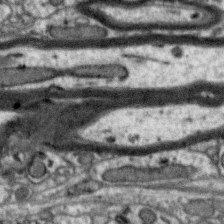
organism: Zebra finch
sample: Brain